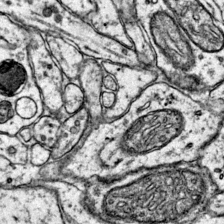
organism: Mouse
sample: Primary visual cortex